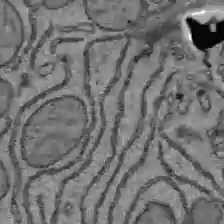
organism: C57BL Mouse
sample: Liver